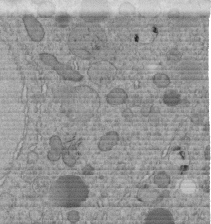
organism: C. elegans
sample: C. elegans embryo early stage